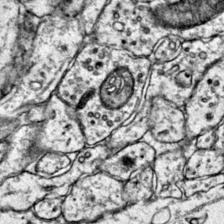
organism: Mouse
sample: Primary visual cortex